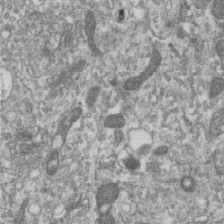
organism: Human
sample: Centriole in RPE cells